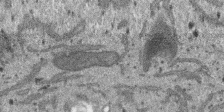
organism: Human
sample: Lung epithelial cells infected with SARS-CoV-2